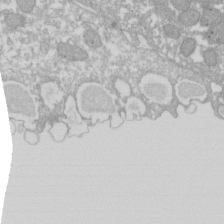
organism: Xenopus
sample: Cilia; centrioles in frog embryo cells